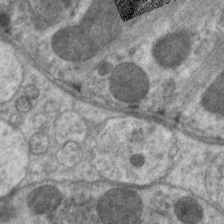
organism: C. elegans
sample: Pharynx